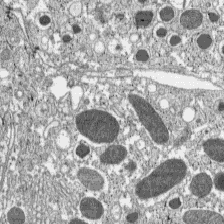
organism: C57BL Mouse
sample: Pancreatic islet